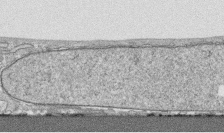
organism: Human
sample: CRL-1474